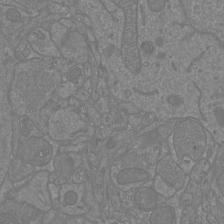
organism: Mouse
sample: Cortical neurons